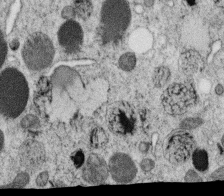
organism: C. elegans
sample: C. elegans oocyte; sperm cells